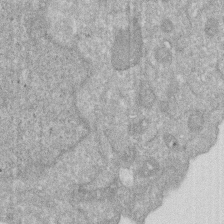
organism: Human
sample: HIV infected U937 cells